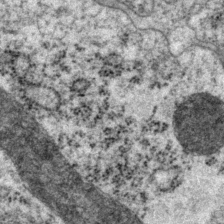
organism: P. pacificus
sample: Pharynx